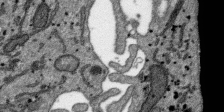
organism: Human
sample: Lung epithelial cells, uninfected (mock) control